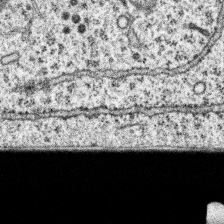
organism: Human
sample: HeLa cells